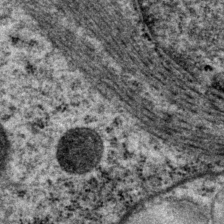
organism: P. pacificus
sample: Pharynx